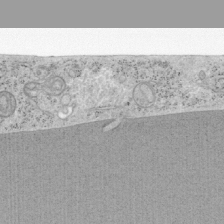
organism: Human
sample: HeLa cells